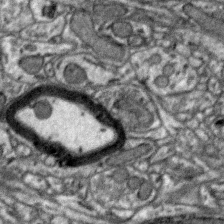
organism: Zebra finch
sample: Brain